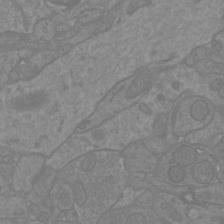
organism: Mouse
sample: Cortical neurons